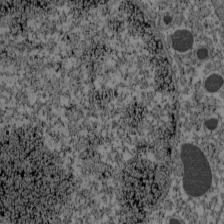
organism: C57BL Mouse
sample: Pancreatic islet